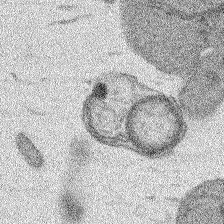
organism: Human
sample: HeLa cells